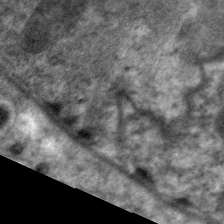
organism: C. elegans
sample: Pharynx